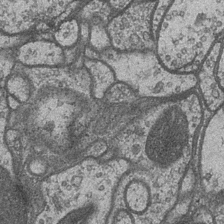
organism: Drosophila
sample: Optic medulla